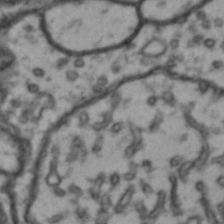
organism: Drosophila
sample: Brain